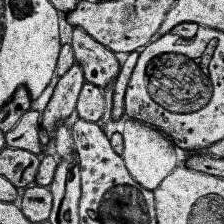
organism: Human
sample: Temporal Lobe